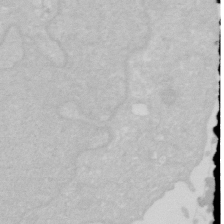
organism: Human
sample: HIV infected U937 cells